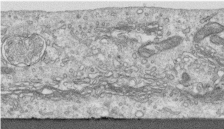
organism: Human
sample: Centriole in RPE cells